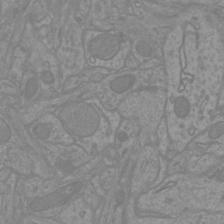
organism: Mouse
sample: Cortical neurons